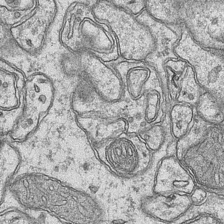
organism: Mouse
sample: CA1 Hippocampus